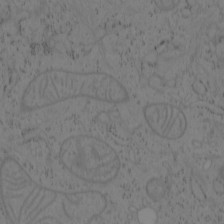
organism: Human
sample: HeLa cells